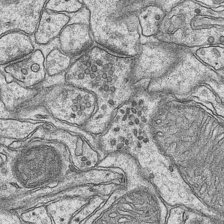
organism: Mouse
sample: CA1 Hippocampus